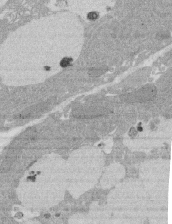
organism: Rat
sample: Salivary granule